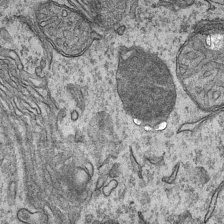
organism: Mouse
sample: CA1 Hippocampus